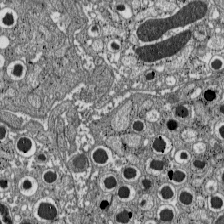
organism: C57BL Mouse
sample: Pancreatic islet